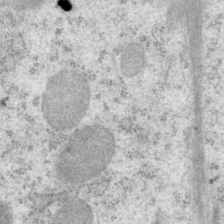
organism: P. pacificus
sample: Pharynx